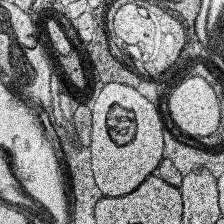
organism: Human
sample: Temporal Lobe